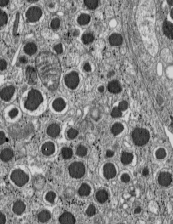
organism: C57BL Mouse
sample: Pancreatic islet